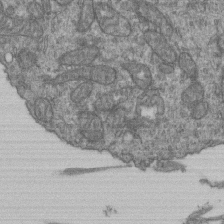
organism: Human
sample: Retinal organoid Rod and Cone cells